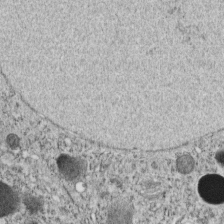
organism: C. elegans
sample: C. elegans embryo early stage